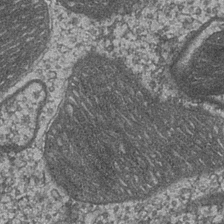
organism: Drosophila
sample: Optic medulla